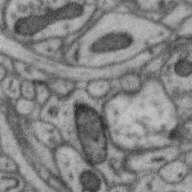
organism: Zebra finch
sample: Brain